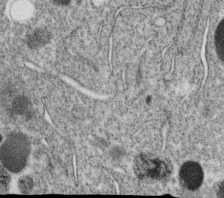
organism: C. elegans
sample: C. elegans oocyte; sperm cells